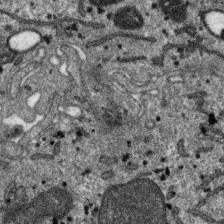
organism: Human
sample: Lung epithelial cells infected with SARS-CoV-2